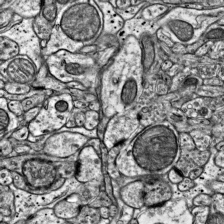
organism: Mouse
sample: Visual Cortex